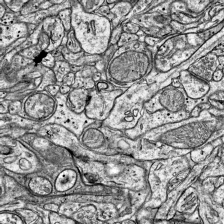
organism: Mouse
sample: Visual Cortex